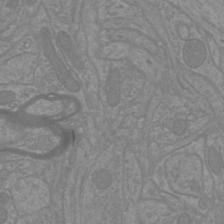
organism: Mouse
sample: Cortical neurons